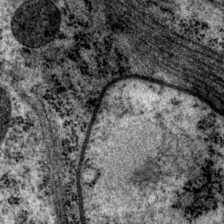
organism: P. pacificus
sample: Pharynx